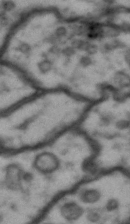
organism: Drosophila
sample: Brain